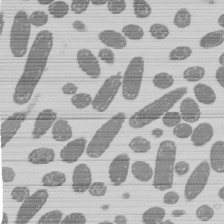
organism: E. coli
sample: Bacterial nucleoid